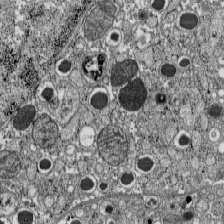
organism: C57BL Mouse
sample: Pancreatic islet